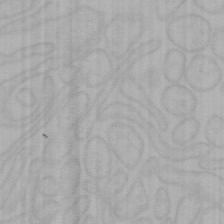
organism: Mouse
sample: Choroid plexus